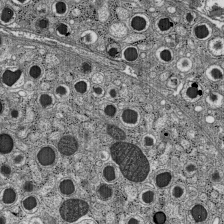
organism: C57BL Mouse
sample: Pancreatic islet